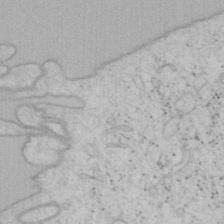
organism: Human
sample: HeLa cells